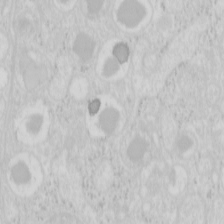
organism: Mouse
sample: Pancreas